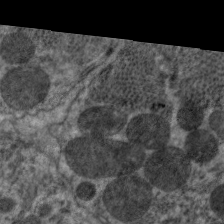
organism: C. elegans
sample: Pharynx